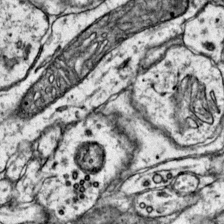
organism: Mouse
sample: Primary visual cortex